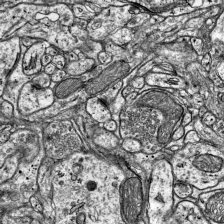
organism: Mouse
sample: Visual Cortex